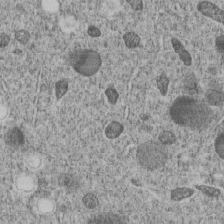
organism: C. elegans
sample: C. elegans embryo early stage